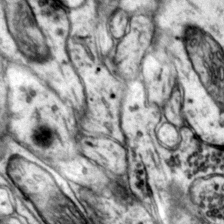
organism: Mouse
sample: Primary visual cortex